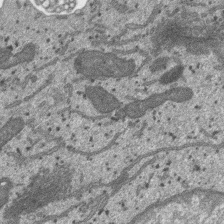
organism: Human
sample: Lung epithelial cells infected with SARS-CoV-2